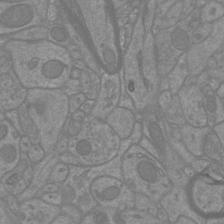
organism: Mouse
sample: Cortical neurons